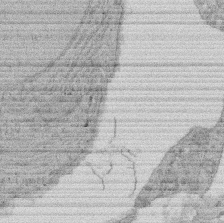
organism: Rat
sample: Salivary granule